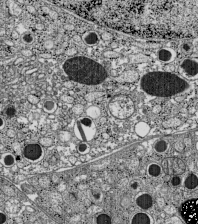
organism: C57BL Mouse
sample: Pancreatic islet